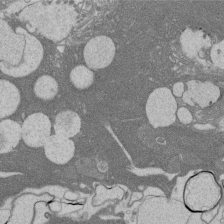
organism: Rat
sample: Salivary granule